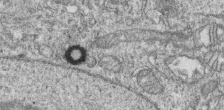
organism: Human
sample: HeLa cell HIV synapse